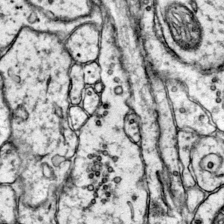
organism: Mouse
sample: Primary visual cortex